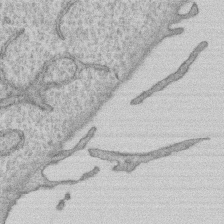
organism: Human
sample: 1205lu cells